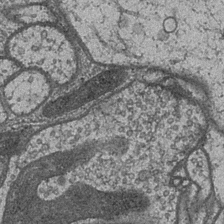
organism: Drosophila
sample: Optic medulla